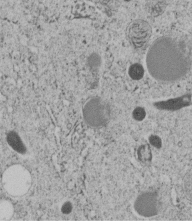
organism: C. elegans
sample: C. elegans embryo early stage